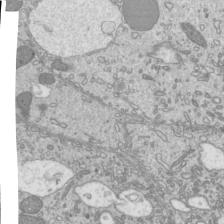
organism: Mouse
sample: Cilia; mouse epididymis